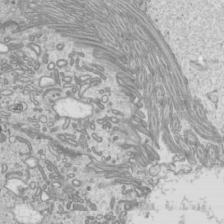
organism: Mouse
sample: Cilia; mouse epididymis